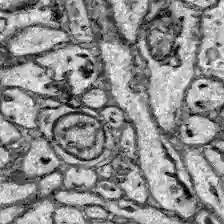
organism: Zebrafish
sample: Brain